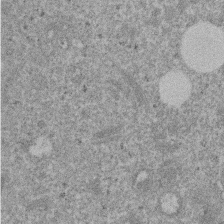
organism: Mouse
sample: Dividing mouse embryo 1 cell stage